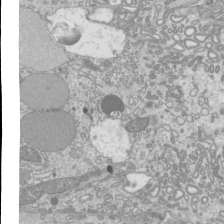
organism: Mouse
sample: Cilia; mouse epididymis